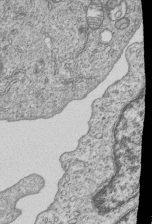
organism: Human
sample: MDA-MB-231 cells